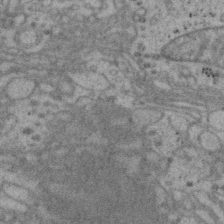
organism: Human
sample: HeLa cells